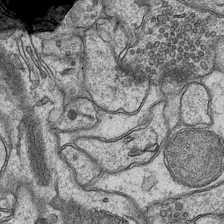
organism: Mouse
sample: CA1 Hippocampus